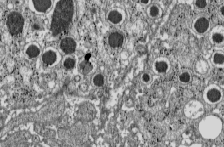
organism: C57BL Mouse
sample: Pancreatic islet